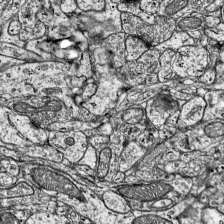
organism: Mouse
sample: Visual Cortex